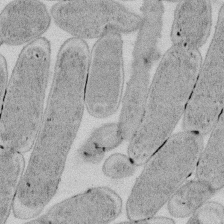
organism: E. coli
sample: Bacterial nucleoid